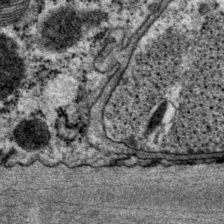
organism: P. pacificus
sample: Pharynx